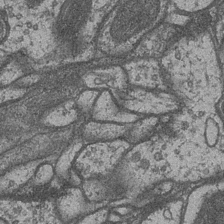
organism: Drosophila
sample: Optic medulla